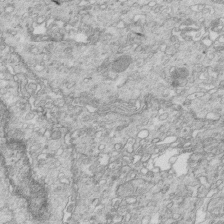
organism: Mouse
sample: Multiciliated cells